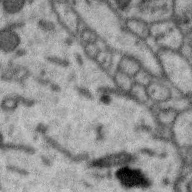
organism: Zebra finch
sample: Brain